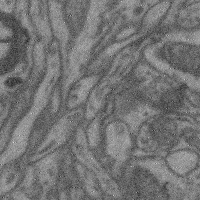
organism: Mouse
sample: Cerebral cortex